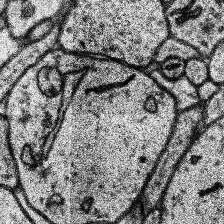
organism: Human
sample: Temporal Lobe